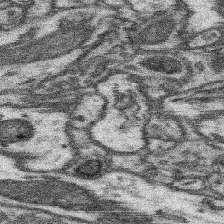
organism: Mouse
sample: Somatosensory cortex neuropil